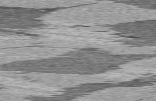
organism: C57BL Mouse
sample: Heart